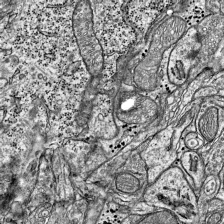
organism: Mouse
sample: Visual Cortex